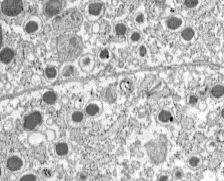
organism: C57BL Mouse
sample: Pancreatic islet